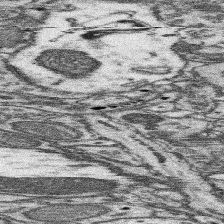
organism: Mouse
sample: Somatosensory cortex neuropil